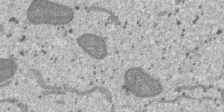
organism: Human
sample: Lung epithelial cells infected with SARS-CoV-2